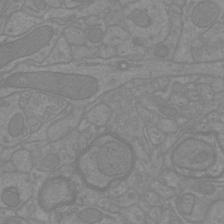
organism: Mouse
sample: Cortical neurons